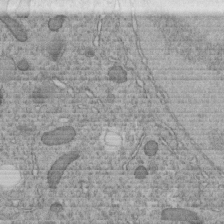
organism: C. elegans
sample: C. elegans embryo early stage